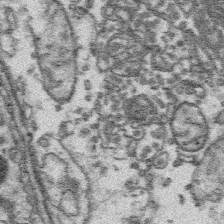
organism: Platynereis dumerilii